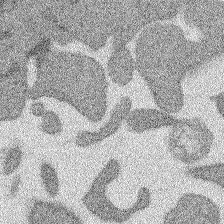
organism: Human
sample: HeLa cells